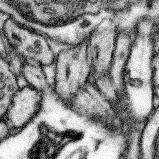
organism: Mouse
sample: Somatosensory cortex neuropil